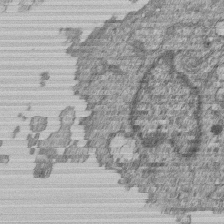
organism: Human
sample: MDA-MB-231 cells